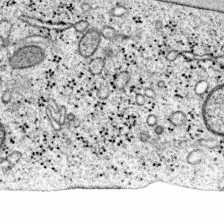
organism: Human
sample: HeLa cells